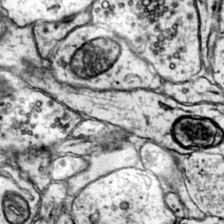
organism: Mouse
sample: Primary visual cortex